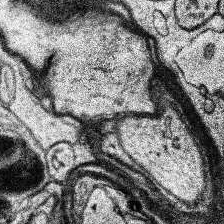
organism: Human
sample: Temporal Lobe